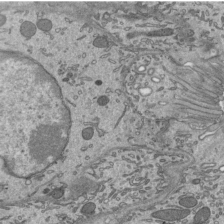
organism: Mouse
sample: Mouse epididymis efferent ductule cilia